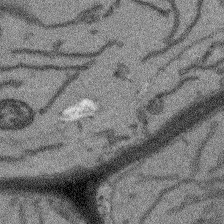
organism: Arabidopsis thaliana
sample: Root tip